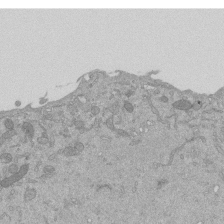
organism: Mouse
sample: ED-1 cell nuclei; centrioles